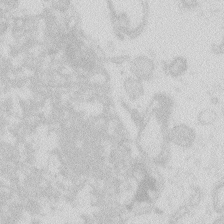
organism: Zebrafish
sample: Macrophage